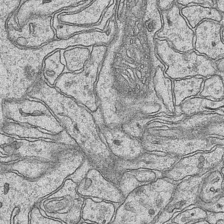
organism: Mouse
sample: CA1 Hippocampus